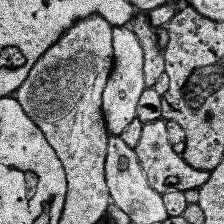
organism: Human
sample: Temporal Lobe